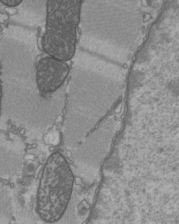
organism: C57BL Mouse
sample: Heart